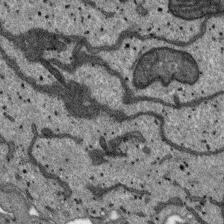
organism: Human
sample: Lung epithelial cells, uninfected (mock) control